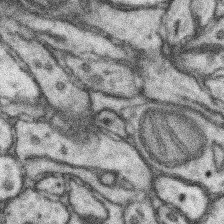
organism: Mouse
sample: Somatosensory cortex neuropil